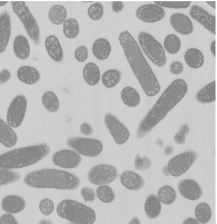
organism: E. coli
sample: Bacterial nucleoid